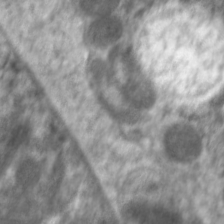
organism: C. elegans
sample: Pharynx